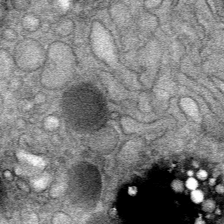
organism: Mouse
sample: Mouse Salivary gland